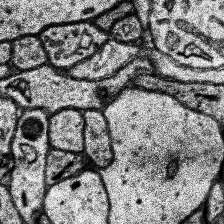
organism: Human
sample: Temporal Lobe